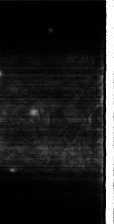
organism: Drosophila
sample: Cell division; meiosis; drosophila spermatocytes